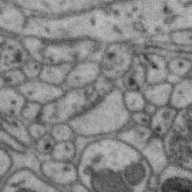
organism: Zebra finch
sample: Brain